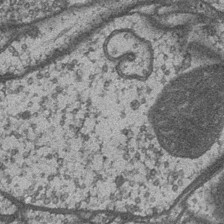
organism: Drosophila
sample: Optic medulla